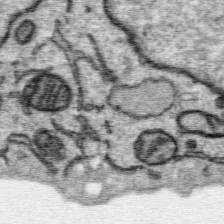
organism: Human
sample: HeLa cells